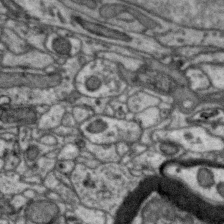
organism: Zebra finch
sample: Brain